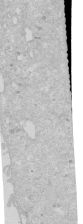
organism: Human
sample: Caco-2 cells